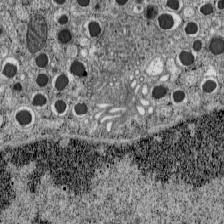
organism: C57BL Mouse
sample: Pancreatic islet